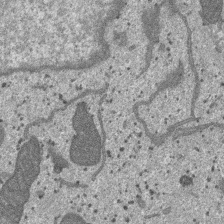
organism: Human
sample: Lung epithelial cells infected with SARS-CoV-2